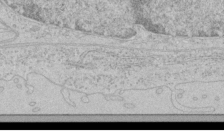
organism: Human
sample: Mitochondria in HCT116 cells